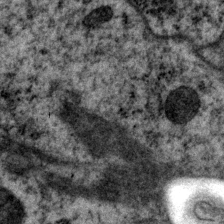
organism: P. pacificus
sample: Pharynx